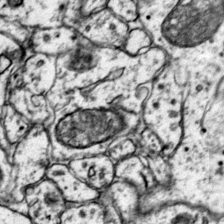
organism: Mouse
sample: Primary visual cortex